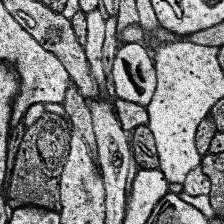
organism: Human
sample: Temporal Lobe